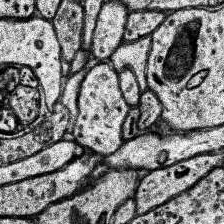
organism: Human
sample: Temporal Lobe